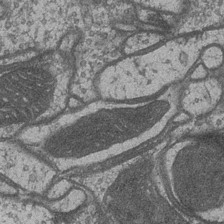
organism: Drosophila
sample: Optic medulla